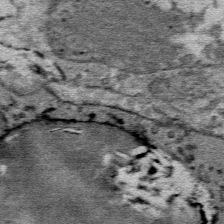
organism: Mouse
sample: Mouse Salivary gland